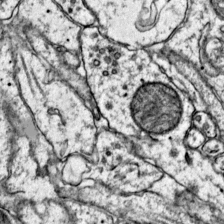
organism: Mouse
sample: Primary visual cortex